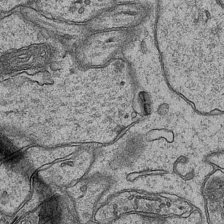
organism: Mouse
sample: CA1 Hippocampus